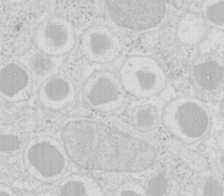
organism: Mouse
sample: Pancreas